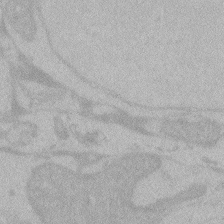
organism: Zebrafish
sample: Macrophage infected with Toxoplasma gondii